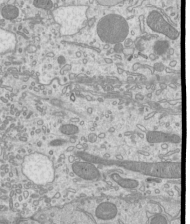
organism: Mouse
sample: Cilia; mouse epididymis